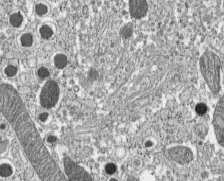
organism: C57BL Mouse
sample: Pancreatic islet